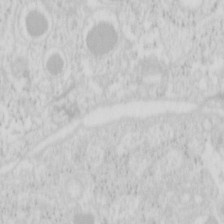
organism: Mouse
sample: Pancreas